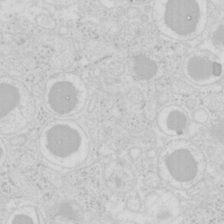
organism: Mouse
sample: Pancreas